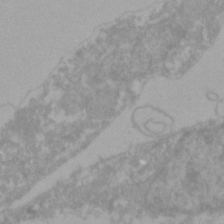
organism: Zebrafish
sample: Zebrafish embryo